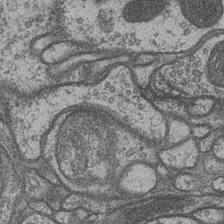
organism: Drosophila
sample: Optic medulla